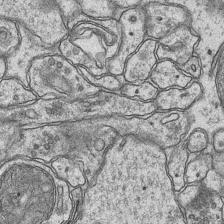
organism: Mouse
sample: CA1 Hippocampus